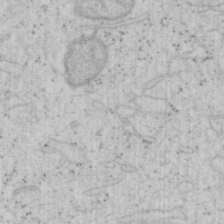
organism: Human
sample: HeLa cells